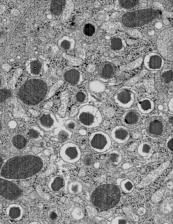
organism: C57BL Mouse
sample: Pancreatic islet